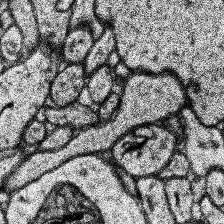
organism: Human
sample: Temporal Lobe